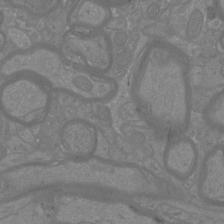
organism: Mouse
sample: Cortical neurons